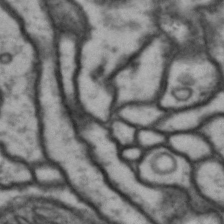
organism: Drosophila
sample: Brain